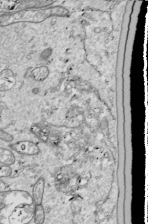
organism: Drosophila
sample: Cell division; meiosis; drosophila spermatocytes